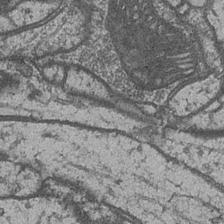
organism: Drosophila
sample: Optic medulla